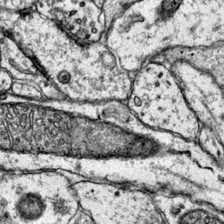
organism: Mouse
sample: Primary visual cortex